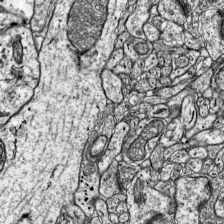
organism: Mouse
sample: Visual Cortex